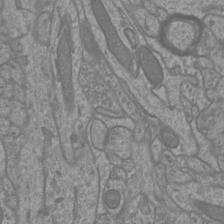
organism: Mouse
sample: Cortical neurons